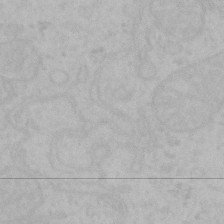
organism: Mouse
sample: Choroid plexus